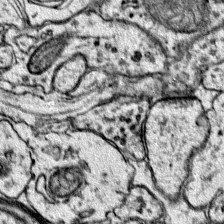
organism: Mouse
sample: Primary visual cortex